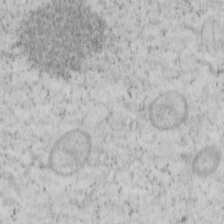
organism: Human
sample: HeLa cells